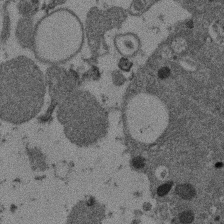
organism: Mouse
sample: Dividing mouse embryo 1 cell stage